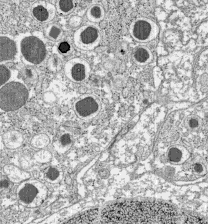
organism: C57BL Mouse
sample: Pancreatic islet